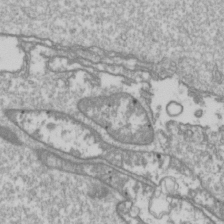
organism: Drosophila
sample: Cell division; meiosis; drosophila spermatocytes